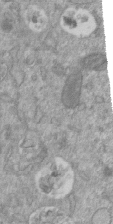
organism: Mouse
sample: ED-1 cell nuclei; centrioles